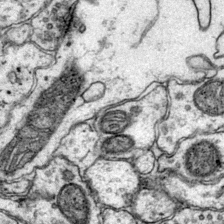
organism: Mouse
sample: Primary visual cortex